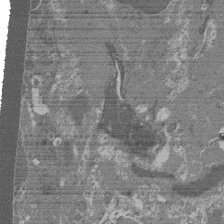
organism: Mouse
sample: Glomerulus